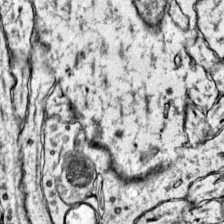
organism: Mouse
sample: Primary visual cortex